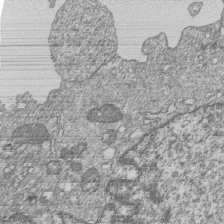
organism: Human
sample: MDA-MB-231 cells